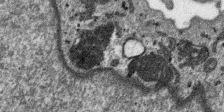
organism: Human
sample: Lung epithelial cells infected with SARS-CoV-2